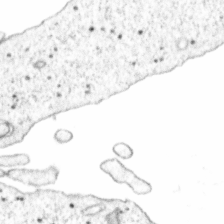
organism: Human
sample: HeLa cells